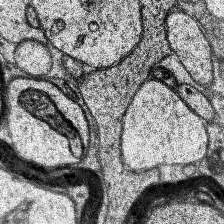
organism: Human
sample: Temporal Lobe